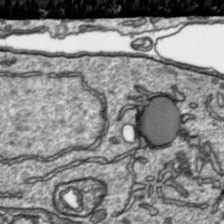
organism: Toxoplasma gondii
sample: Parasites in a vacuole inside a host cell